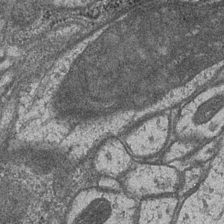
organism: Drosophila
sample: Optic medulla